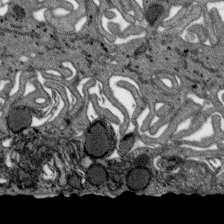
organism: Human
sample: Lung epithelial cells, uninfected (mock) control